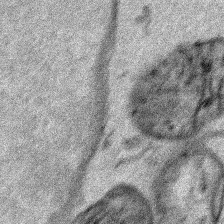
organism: Human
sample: Mitochondria in HCT116 cells